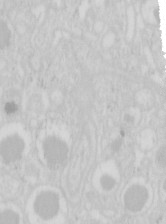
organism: Mouse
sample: Pancreas